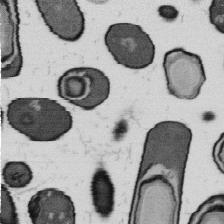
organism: B. subtilis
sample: Bacterial spore